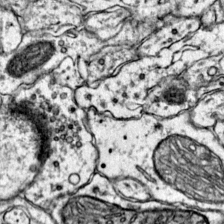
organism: Mouse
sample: Primary visual cortex